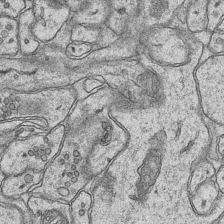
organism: Mouse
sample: CA1 Hippocampus